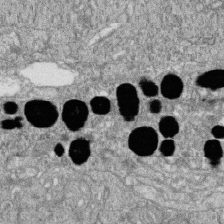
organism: Zebrafish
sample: Cilia; retinal pigment epithelium